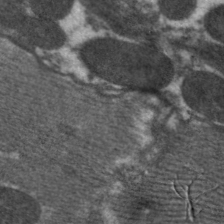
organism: C. elegans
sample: Pharynx